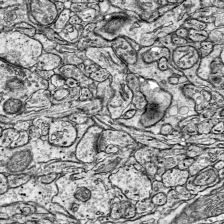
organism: Mouse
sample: Visual Cortex